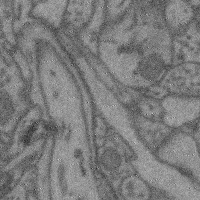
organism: Mouse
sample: Cerebral cortex